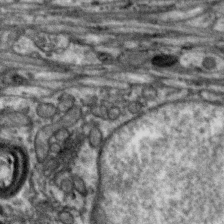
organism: Zebra finch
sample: Brain